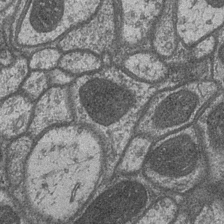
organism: Drosophila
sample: Optic medulla